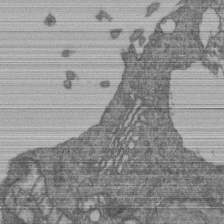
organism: Human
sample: Retinal organoid Rod and Cone cells